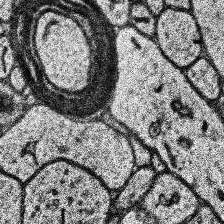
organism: Human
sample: Temporal Lobe